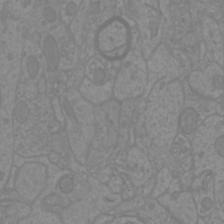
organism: Mouse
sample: Cortical neurons